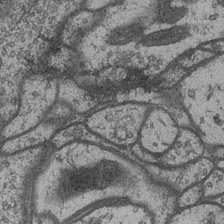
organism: Drosophila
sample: Optic medulla